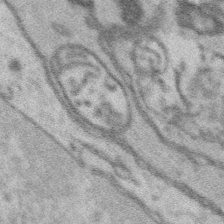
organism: Platynereis dumerilii